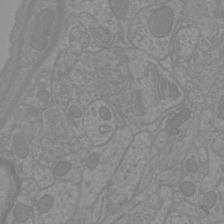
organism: Mouse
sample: Cortical neurons